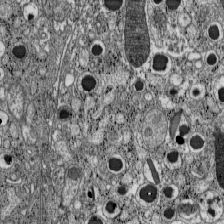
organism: C57BL Mouse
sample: Pancreatic islet